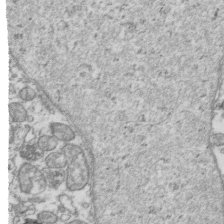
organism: Human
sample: Activated Jurkat CD4+ T cells